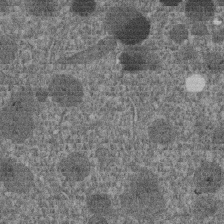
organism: C. elegans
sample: C. elegans embryo early stage